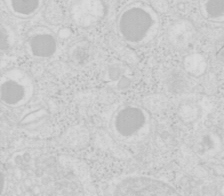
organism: Mouse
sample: Pancreas